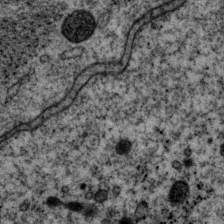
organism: P. pacificus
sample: Pharynx